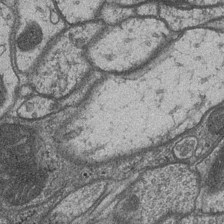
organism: Drosophila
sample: Optic medulla